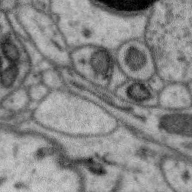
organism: Zebra finch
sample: Brain